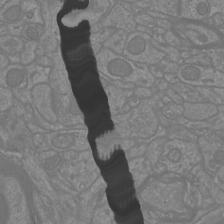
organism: Mouse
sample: Cortical neurons